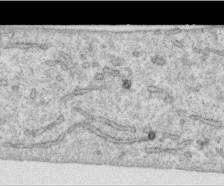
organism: Human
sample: Centriole in RPE cells